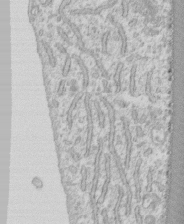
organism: Human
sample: CRL-1474